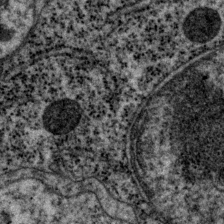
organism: P. pacificus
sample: Pharynx